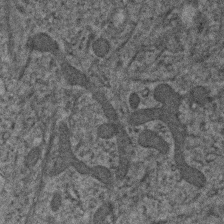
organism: Human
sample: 1205lu cells